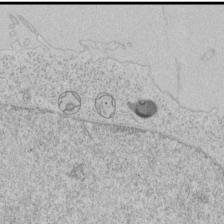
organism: Human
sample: Mitochondria in HCT116 cells